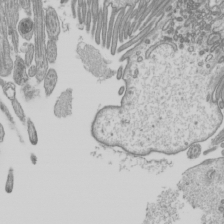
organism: Mouse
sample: Cilia; mouse epididymis